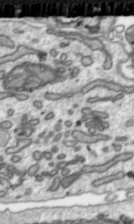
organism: Toxoplasma gondii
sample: Parasites in a vacuole inside a host cell